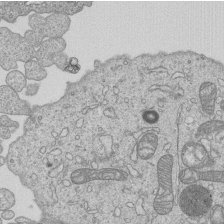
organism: Human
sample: MDA-MB-231 cells